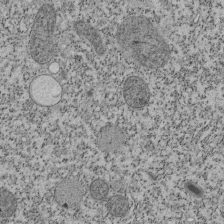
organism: Tetrahymena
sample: Cilia in tetrahymena